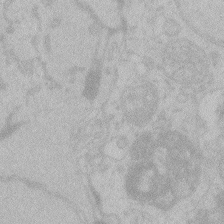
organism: Zebrafish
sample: Macrophage infected with Toxoplasma gondii